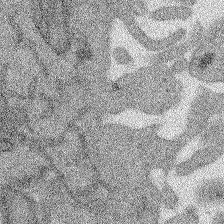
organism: Human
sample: HeLa cells